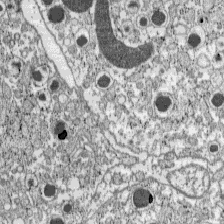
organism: C57BL Mouse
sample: Pancreatic islet